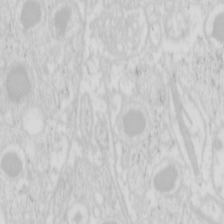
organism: Mouse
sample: Pancreas